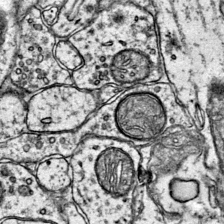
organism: Mouse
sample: Primary visual cortex